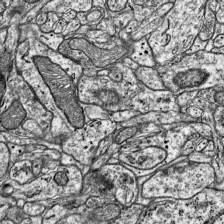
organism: Mouse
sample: Visual Cortex